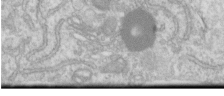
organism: Human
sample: Centriole in RPE cells